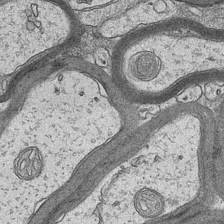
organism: Mouse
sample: CA1 Hippocampus